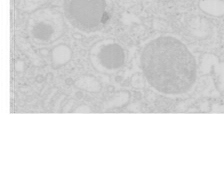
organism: Mouse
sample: Pancreas